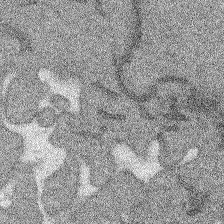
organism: Human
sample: HeLa cells